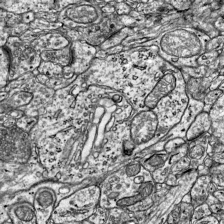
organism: Mouse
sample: Visual Cortex